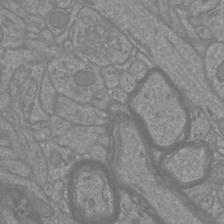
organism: Mouse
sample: Cortical neurons